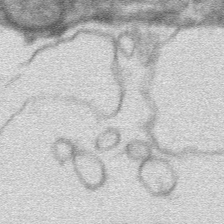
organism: Mouse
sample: Mouse hepatocytes